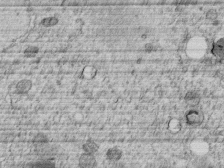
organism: C. elegans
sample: C. elegans embryo early stage